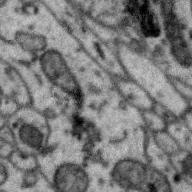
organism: Zebra finch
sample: Brain